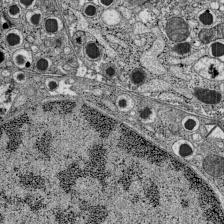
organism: C57BL Mouse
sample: Pancreatic islet